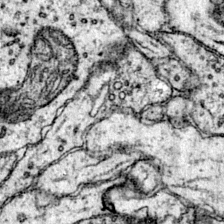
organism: Mouse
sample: Primary visual cortex